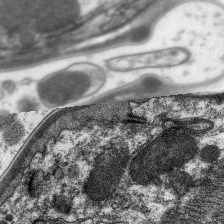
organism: C. elegans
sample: Pharynx